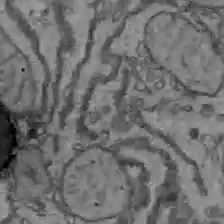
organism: C57BL Mouse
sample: Liver